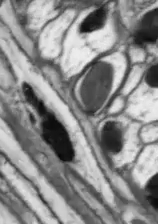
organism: Drosophila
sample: Optic lobe